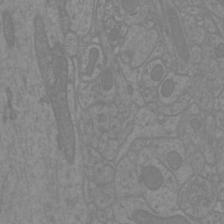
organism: Mouse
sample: Cortical neurons